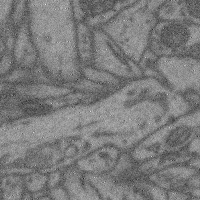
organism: Mouse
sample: Cerebral cortex